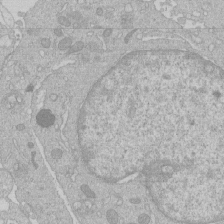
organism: Human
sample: Macrophage cells